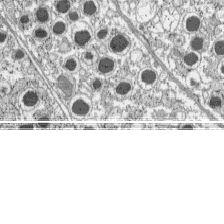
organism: C57BL Mouse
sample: Pancreatic islet